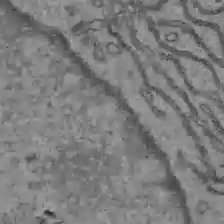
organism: C57BL Mouse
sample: Liver